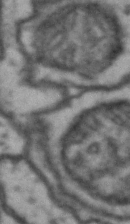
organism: Drosophila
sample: Brain